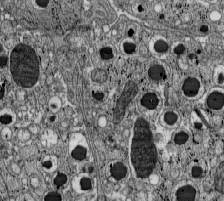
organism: C57BL Mouse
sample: Pancreatic islet